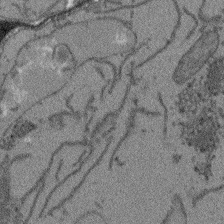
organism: Arabidopsis thaliana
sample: Root tip